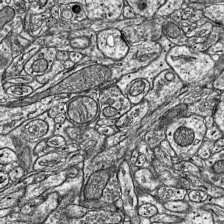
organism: Mouse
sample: Visual Cortex